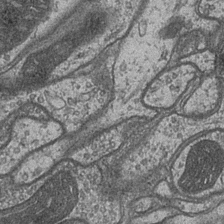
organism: Drosophila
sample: Optic medulla